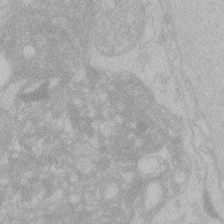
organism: Zebrafish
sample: Macrophage infected with Toxoplasma gondii